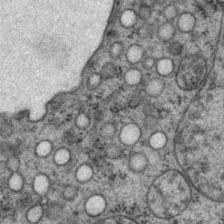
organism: P. pacificus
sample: Pharynx